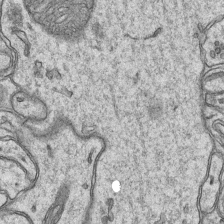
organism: Mouse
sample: CA1 Hippocampus